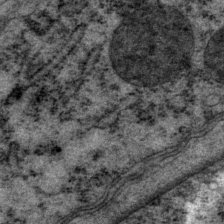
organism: P. pacificus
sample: Pharynx